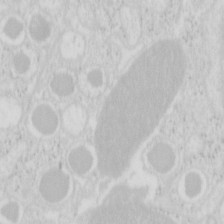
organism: Mouse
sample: Pancreas